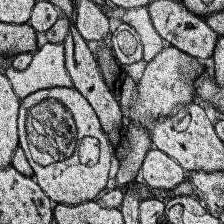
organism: Human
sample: Temporal Lobe